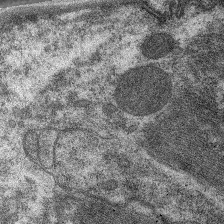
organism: C. elegans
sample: Pharynx